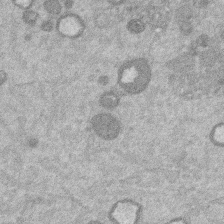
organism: Mouse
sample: Dividing mouse embryo 1 cell stage